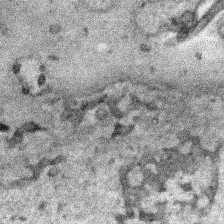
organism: Human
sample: Mitochondria in HCT116 cells